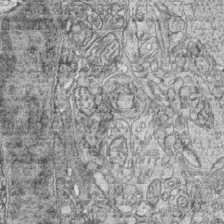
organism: Zebrafish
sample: synaptic ribbons in rod cells and cone cells